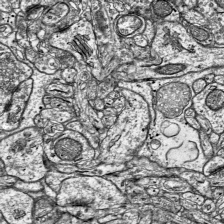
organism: Mouse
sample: Visual Cortex